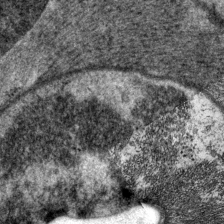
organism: P. pacificus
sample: Pharynx